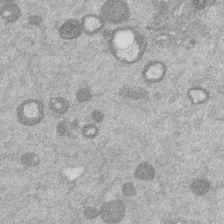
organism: Mouse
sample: Dividing mouse embryo 1 cell stage